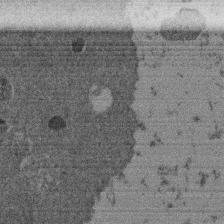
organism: Mouse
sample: Dividing mouse embryo 1 cell stage